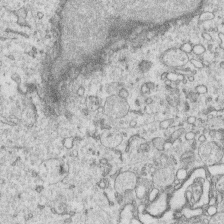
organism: Human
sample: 1205lu cells